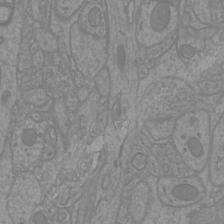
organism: Mouse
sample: Cortical neurons